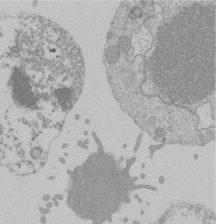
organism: Mouse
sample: Activated Pmel transgenic CD8+ T Cells